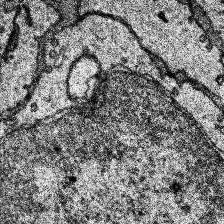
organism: Human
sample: Temporal Lobe